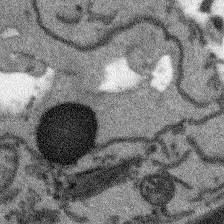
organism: Arabidopsis thaliana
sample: Root tip